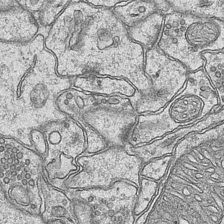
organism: Mouse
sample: CA1 Hippocampus